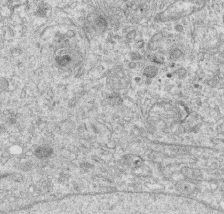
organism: Human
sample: HeLa cell HIV synapse